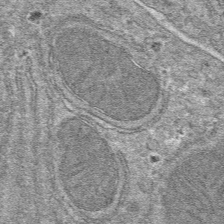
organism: Mouse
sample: Mouse hepatocytes